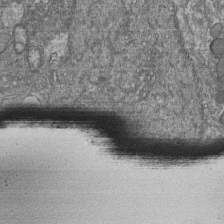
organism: Human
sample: Retinal organoid Rod and Cone cells